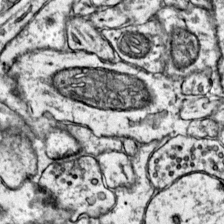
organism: Mouse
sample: Primary visual cortex